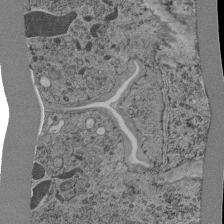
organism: C. elegans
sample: C. elegans pharynx